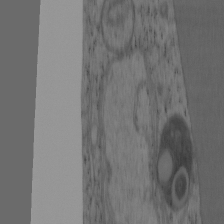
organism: Human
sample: HeLa cells